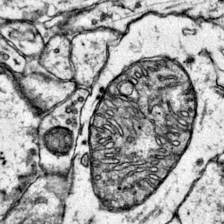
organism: Mouse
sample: Primary visual cortex